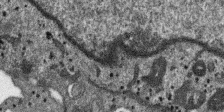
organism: Human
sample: Lung epithelial cells infected with SARS-CoV-2